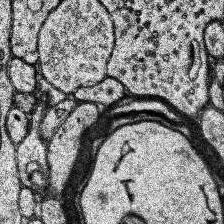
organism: Human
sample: Temporal Lobe